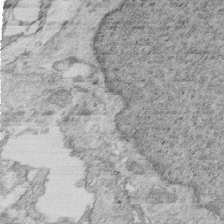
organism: Mouse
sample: Multiciliated cells